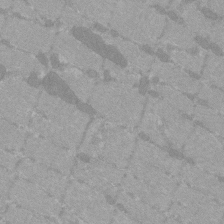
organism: C57BL Mouse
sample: Tibialis anterior muscle cell